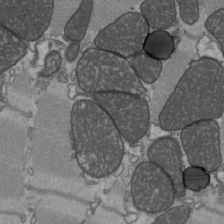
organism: C57BL Mouse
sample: Heart